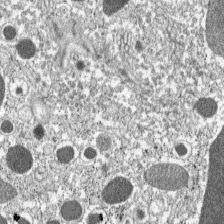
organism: C57BL Mouse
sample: Pancreatic islet